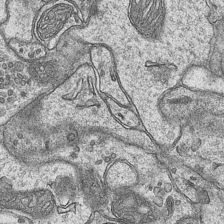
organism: Mouse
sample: CA1 Hippocampus